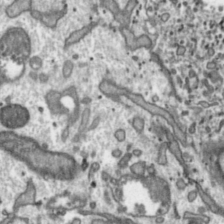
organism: Toxoplasma gondii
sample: Parasites in a vacuole inside a host cell